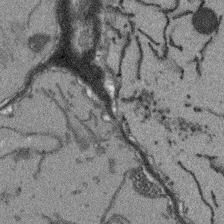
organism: Arabidopsis thaliana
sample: Root tip